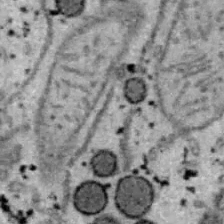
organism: Mouse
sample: Liver from an obese (ob/ob) mouse